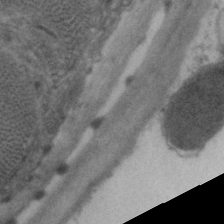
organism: C. elegans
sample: Pharynx